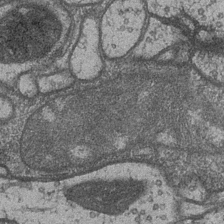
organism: Drosophila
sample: Optic medulla